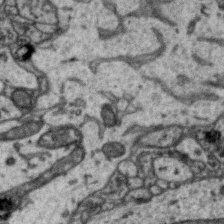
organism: Zebra finch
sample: Brain